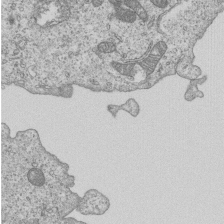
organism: Human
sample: MDA-MB-231 cells